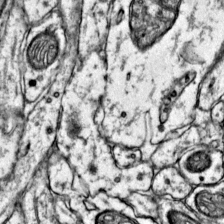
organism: Mouse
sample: Primary visual cortex